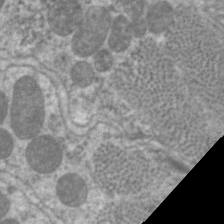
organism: C. elegans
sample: Pharynx